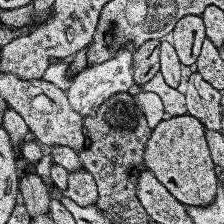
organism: Human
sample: Temporal Lobe